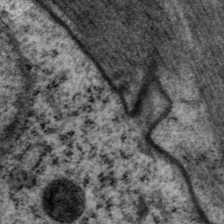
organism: P. pacificus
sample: Pharynx